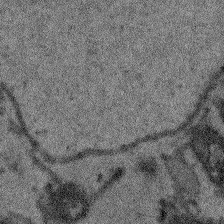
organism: Arabidopsis thaliana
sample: Root tip